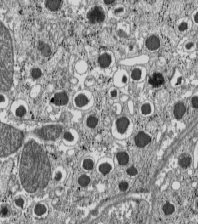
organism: C57BL Mouse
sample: Pancreatic islet